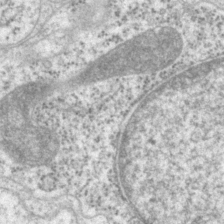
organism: P. pacificus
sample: Pharynx